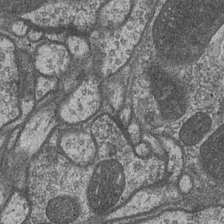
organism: Drosophila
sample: Optic medulla